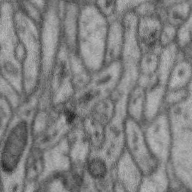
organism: Zebra finch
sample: Brain